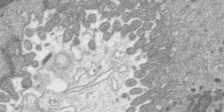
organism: Human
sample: Lung epithelial cells infected with SARS-CoV-2